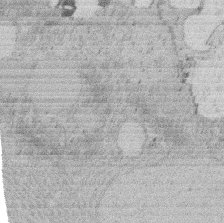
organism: Rat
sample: Salivary granule